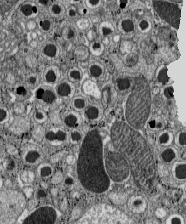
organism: C57BL Mouse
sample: Pancreatic islet